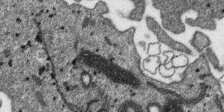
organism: Human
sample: Lung epithelial cells infected with SARS-CoV-2